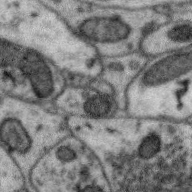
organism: Zebra finch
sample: Brain